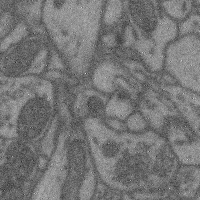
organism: Mouse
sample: Cerebral cortex